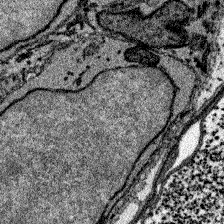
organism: Zebrafish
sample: Larval olfactory bulb